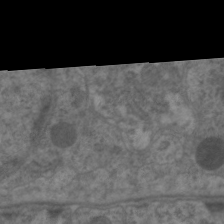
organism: C. elegans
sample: Pharynx